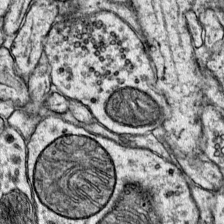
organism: Mouse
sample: Primary visual cortex